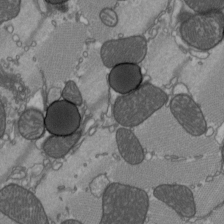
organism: C57BL Mouse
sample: Heart